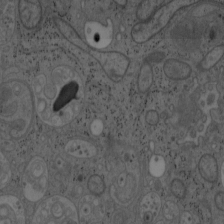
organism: Mouse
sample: OT-I killer T cells with ID8 ovarian cancer cells